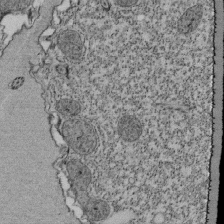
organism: Tetrahymena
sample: Cilia in tetrahymena